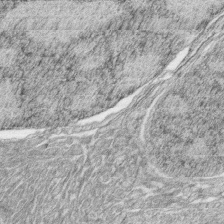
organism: Zebrafish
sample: synaptic ribbons in rod cells and cone cells